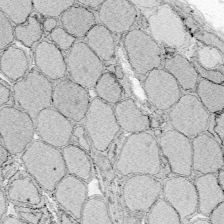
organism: Zebrafish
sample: Whole-Brain